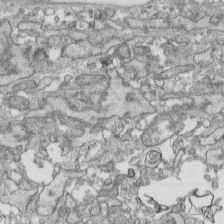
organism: Human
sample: CRL-1474